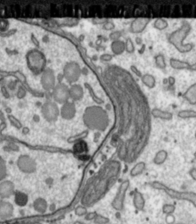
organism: Toxoplasma gondii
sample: Parasites in a vacuole inside a host cell